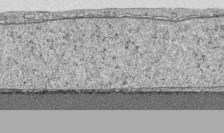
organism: Human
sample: CRL-1474